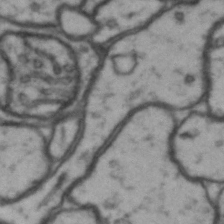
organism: Drosophila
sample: Brain